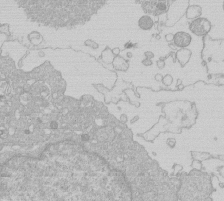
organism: Human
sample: Macrophage cells